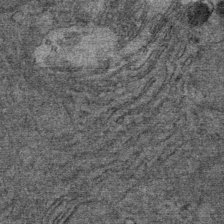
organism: Mouse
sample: Mouse Salivary gland